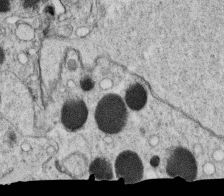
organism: C. elegans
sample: C. elegans oocyte; sperm cells